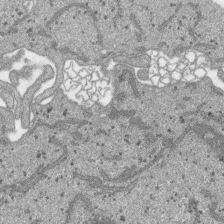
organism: Human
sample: Lung epithelial cells infected with SARS-CoV-2